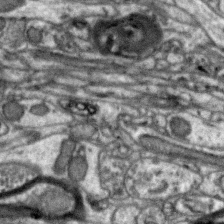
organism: Zebra finch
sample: Brain